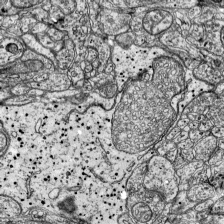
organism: Mouse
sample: Visual Cortex